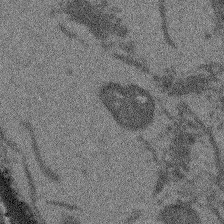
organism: Arabidopsis thaliana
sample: Root tip